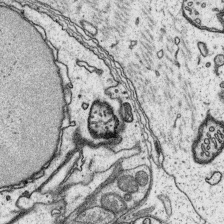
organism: Platynereis dumerilii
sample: Parapodia